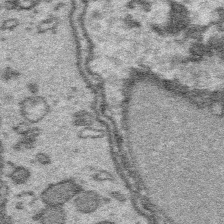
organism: Platynereis dumerilii